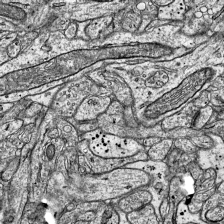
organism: Mouse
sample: Visual Cortex